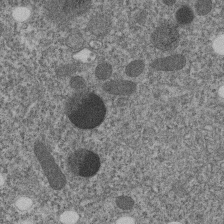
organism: C. elegans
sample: C. elegans embryo early stage